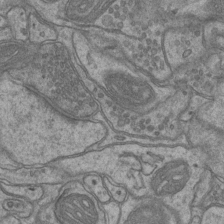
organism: Mouse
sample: CA1 Hippocampus